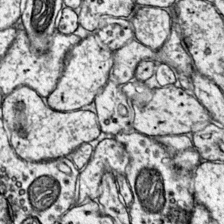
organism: Mouse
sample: Primary visual cortex